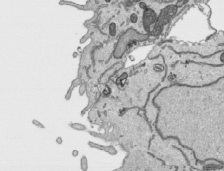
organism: Human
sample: Mitochondria in HCT116 cells